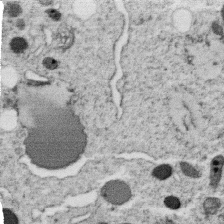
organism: C. elegans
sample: C. elegans oocyte; sperm cells